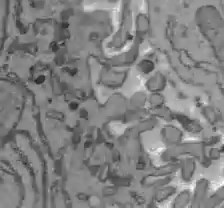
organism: C57BL Mouse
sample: Liver